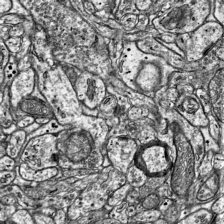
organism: Mouse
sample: Visual Cortex